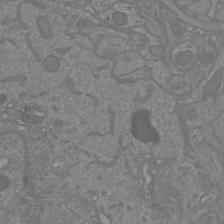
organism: Mouse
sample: Cortical neurons